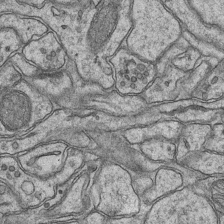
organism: Mouse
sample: CA1 Hippocampus